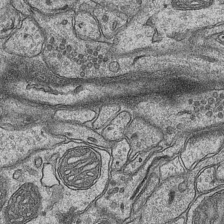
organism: Mouse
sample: CA1 Hippocampus